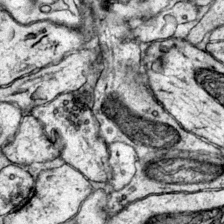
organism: Mouse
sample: Primary visual cortex